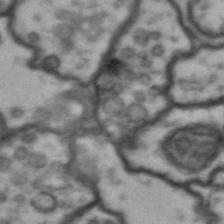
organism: Drosophila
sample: Brain